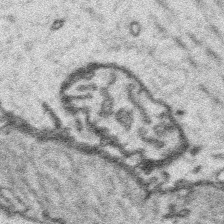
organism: Platynereis dumerilii